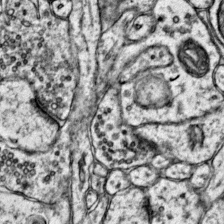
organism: Mouse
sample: Primary visual cortex